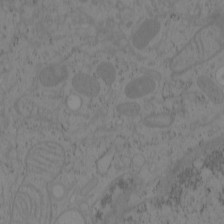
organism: Human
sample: HeLa cells